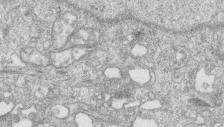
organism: Human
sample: HeLa cell HIV synapse